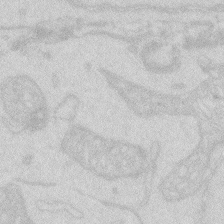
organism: Zebrafish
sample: Macrophage